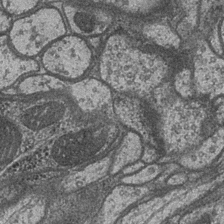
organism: Drosophila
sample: Optic medulla